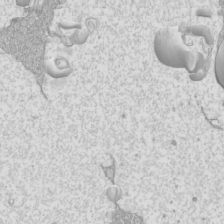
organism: Mouse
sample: Cilia; mouse epididymis